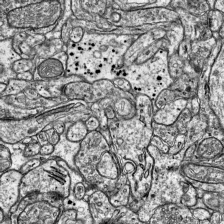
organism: Mouse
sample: Visual Cortex